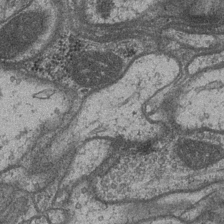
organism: Drosophila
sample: Optic medulla